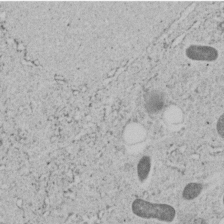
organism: C. elegans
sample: C. elegans embryo early stage